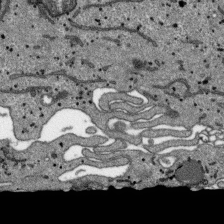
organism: Human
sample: Lung epithelial cells, uninfected (mock) control